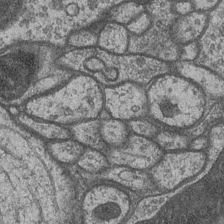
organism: Drosophila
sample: Optic medulla